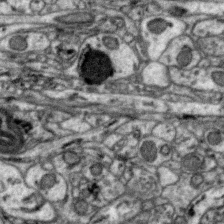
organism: Zebra finch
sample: Brain